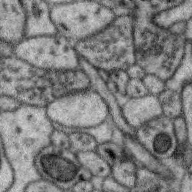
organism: Zebra finch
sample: Brain